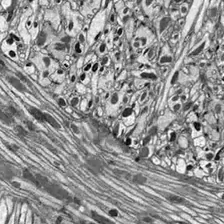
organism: Drosophila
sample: Optic lobe